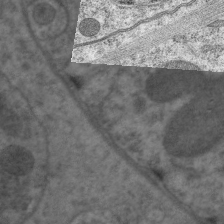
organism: C. elegans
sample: Pharynx